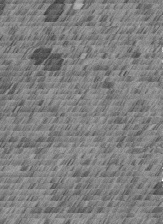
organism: C. elegans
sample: C. elegans embryo early stage